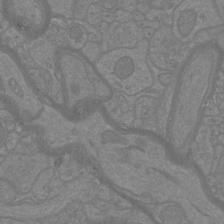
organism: Mouse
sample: Cortical neurons